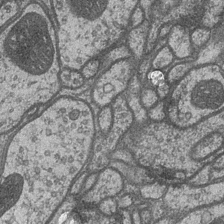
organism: Drosophila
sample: Optic medulla